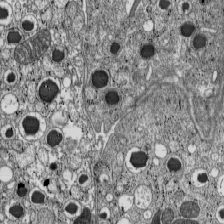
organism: C57BL Mouse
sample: Pancreatic islet